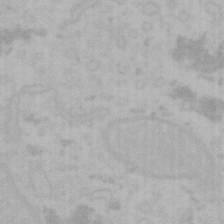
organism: Mouse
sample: Choroid plexus